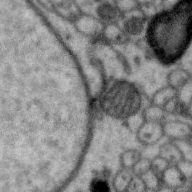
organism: Zebra finch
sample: Brain